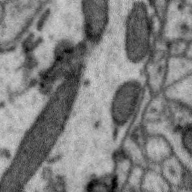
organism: Zebra finch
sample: Brain